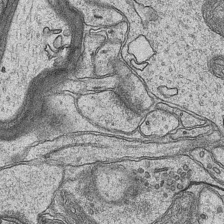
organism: Mouse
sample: CA1 Hippocampus